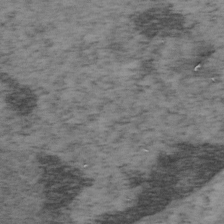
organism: Mouse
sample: OT-I killer T cells with ID8 ovarian cancer cells